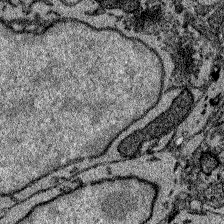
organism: Zebrafish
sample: Larval olfactory bulb